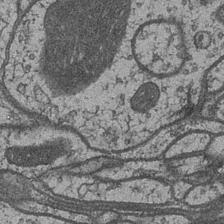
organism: Drosophila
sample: Optic medulla